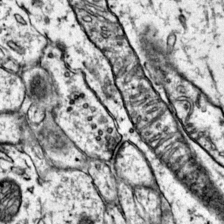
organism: Mouse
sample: Primary visual cortex